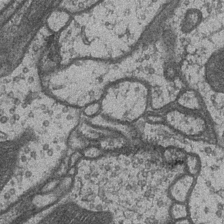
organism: Drosophila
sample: Optic medulla